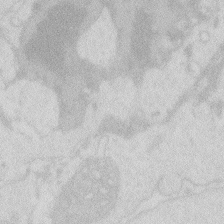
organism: Zebrafish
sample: Macrophage